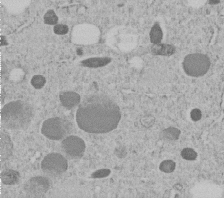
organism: C. elegans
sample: C. elegans embryo early stage